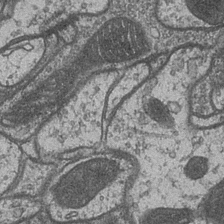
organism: Drosophila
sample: Optic medulla